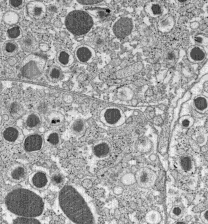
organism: C57BL Mouse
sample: Pancreatic islet